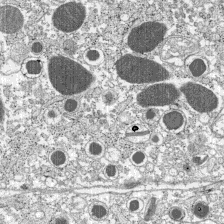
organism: C57BL Mouse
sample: Pancreatic islet